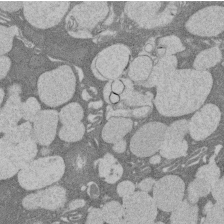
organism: Rat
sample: Salivary granule